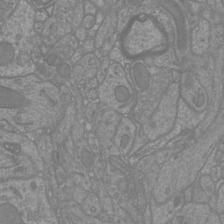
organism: Mouse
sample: Cortical neurons